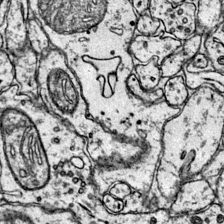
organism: Mouse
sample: Primary visual cortex